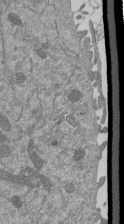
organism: Mouse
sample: ED-1 cell nuclei; centrioles